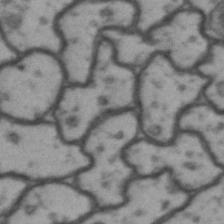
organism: Drosophila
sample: Brain